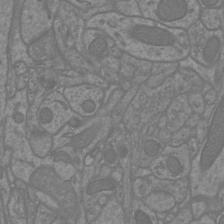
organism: Mouse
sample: Cortical neurons